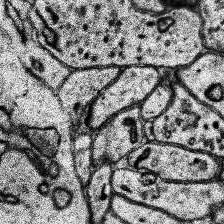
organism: Human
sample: Temporal Lobe